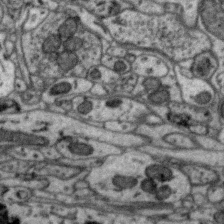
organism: Zebra finch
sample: Brain